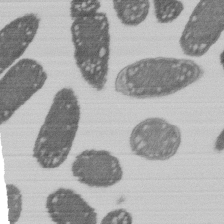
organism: E. coli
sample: Bacterial nucleoid